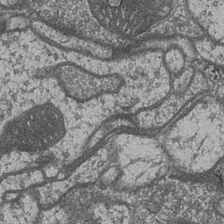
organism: Drosophila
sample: Optic medulla